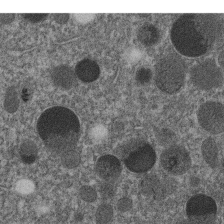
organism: C. elegans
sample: C. elegans embryo early stage